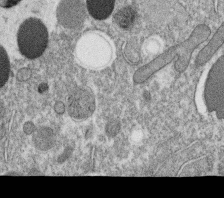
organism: C. elegans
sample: C. elegans oocyte; sperm cells